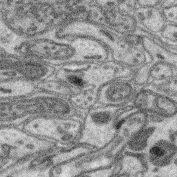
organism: Mouse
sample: Retina